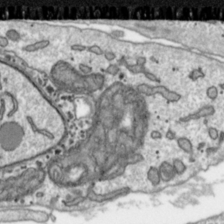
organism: Toxoplasma gondii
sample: Parasites in a vacuole inside a host cell